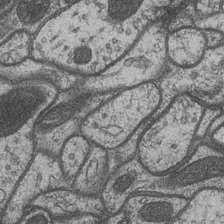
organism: Drosophila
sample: Optic medulla